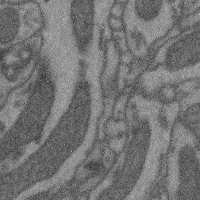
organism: Mouse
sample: Cerebral cortex